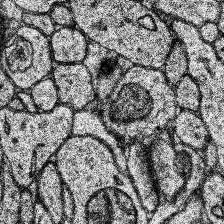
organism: Human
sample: Temporal Lobe